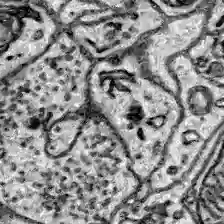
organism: Zebrafish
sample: Brain